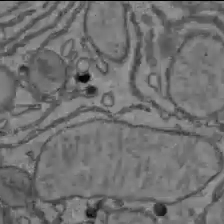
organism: C57BL Mouse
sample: Liver